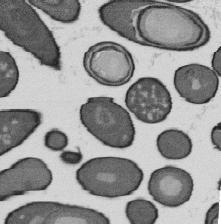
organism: B. subtilis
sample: Bacterial spore